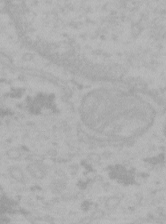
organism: Mouse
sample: Choroid plexus